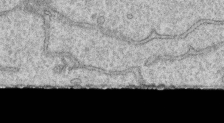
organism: Human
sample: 1205lu cells